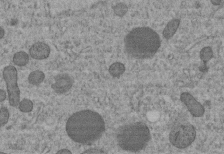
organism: C. elegans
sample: C. elegans embryo early stage